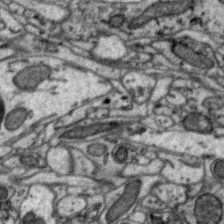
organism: Zebra finch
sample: Brain